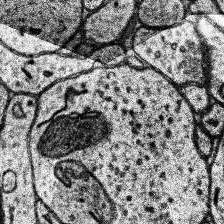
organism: Human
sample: Temporal Lobe